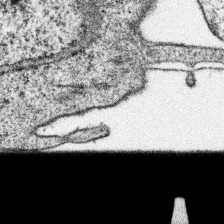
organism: Human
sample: HeLa cells